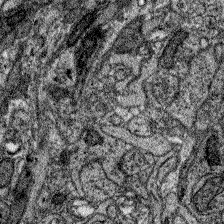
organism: Zebrafish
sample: Larval olfactory bulb